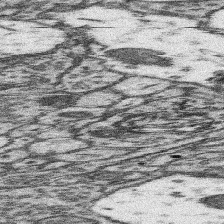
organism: Mouse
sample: Somatosensory cortex neuropil